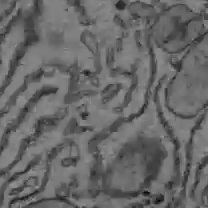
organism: C57BL Mouse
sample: Liver